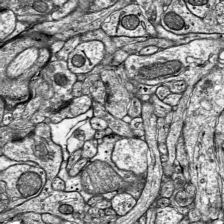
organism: Mouse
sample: Visual Cortex